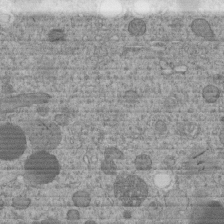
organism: C. elegans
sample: C. elegans embryo early stage